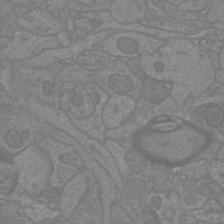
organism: Mouse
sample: Cortical neurons